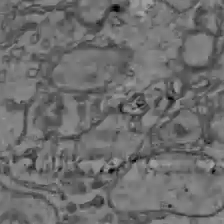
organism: C57BL Mouse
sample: Liver